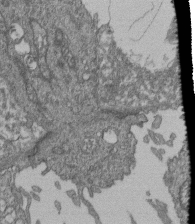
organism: Human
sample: Retinal organoid Rod and Cone cells